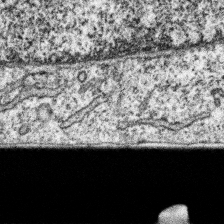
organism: Human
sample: HeLa cells